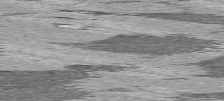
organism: C57BL Mouse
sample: Heart